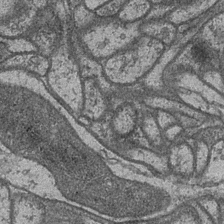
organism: Drosophila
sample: Optic medulla